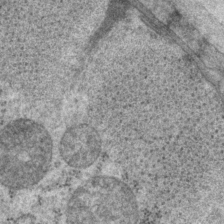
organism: P. pacificus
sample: Pharynx